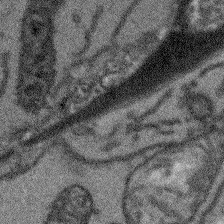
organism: Arabidopsis thaliana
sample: Root tip